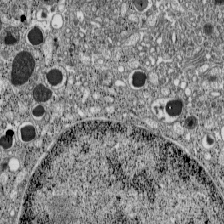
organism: C57BL Mouse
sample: Pancreatic islet